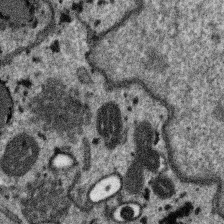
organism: Human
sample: Lung epithelial cells infected with SARS-CoV-2